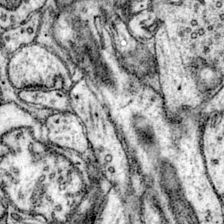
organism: Mouse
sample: Primary visual cortex